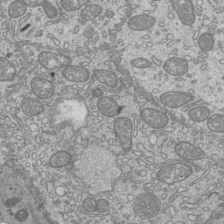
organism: Mouse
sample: Cilia; mouse epididymis